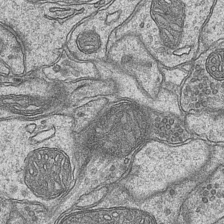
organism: Mouse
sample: CA1 Hippocampus